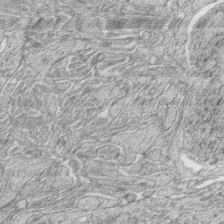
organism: Zebrafish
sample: synaptic ribbons in rod cells and cone cells